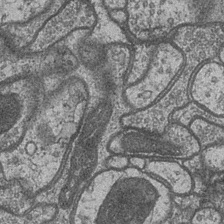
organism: Drosophila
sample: Optic medulla